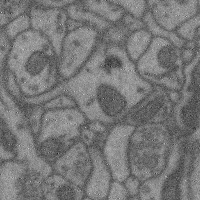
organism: Mouse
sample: Cerebral cortex